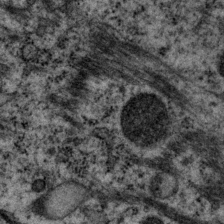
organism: P. pacificus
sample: Pharynx